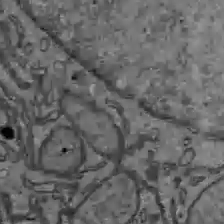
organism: C57BL Mouse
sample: Liver